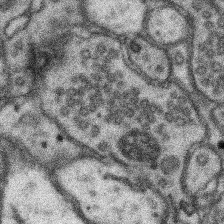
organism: Mouse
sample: Somatosensory cortex neuropil